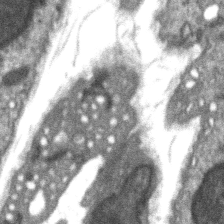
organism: C57BL Mouse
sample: Soleus